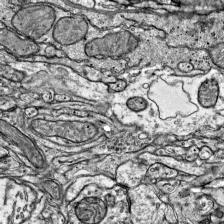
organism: Mouse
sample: Visual Cortex